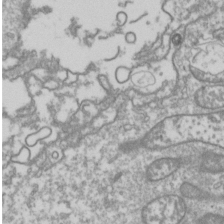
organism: Drosophila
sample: Cell division; meiosis; drosophila spermatocytes